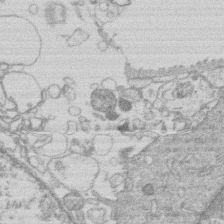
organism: Human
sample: Macrophage cells